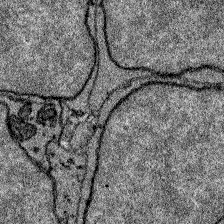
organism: Zebrafish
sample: Larval olfactory bulb